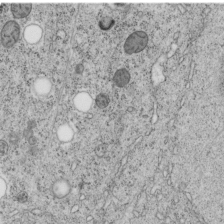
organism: C. elegans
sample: C. elegans embryo early stage